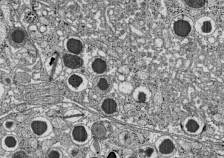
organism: C57BL Mouse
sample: Pancreatic islet